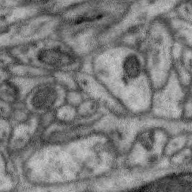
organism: Zebra finch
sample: Brain